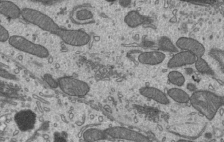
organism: Mouse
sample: Mouse epididymis efferent ductule cilia